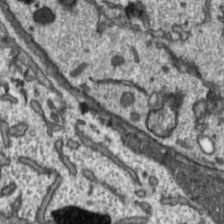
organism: Toxoplasma gondii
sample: Parasites in a vacuole inside a host cell